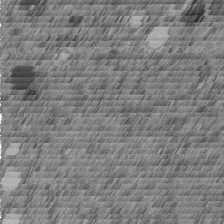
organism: C. elegans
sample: C. elegans embryo early stage